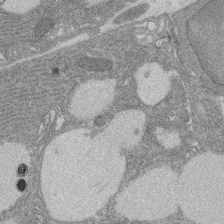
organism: Rat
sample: Salivary granule